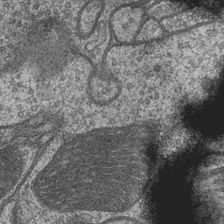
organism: Drosophila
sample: Optic medulla